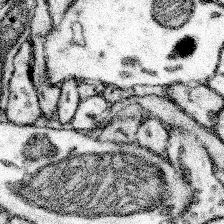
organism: Mouse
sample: Somatosensory cortex neuropil